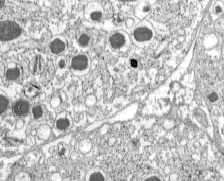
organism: C57BL Mouse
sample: Pancreatic islet